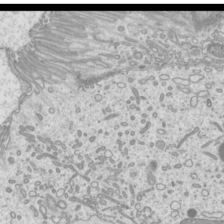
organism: Mouse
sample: Cilia; mouse epididymis